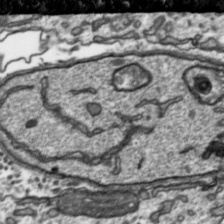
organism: Toxoplasma gondii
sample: Parasites in a vacuole inside a host cell